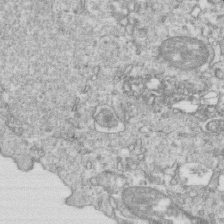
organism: Mouse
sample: Activated OT-1 CD8+ T cells